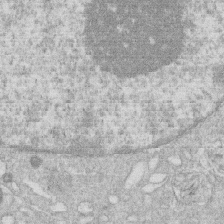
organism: Human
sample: Macrophage cells